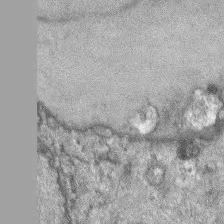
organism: Mouse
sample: Corneal nerves